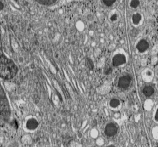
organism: C57BL Mouse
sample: Pancreatic islet